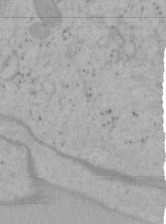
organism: Human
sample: HeLa cells